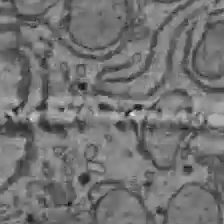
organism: C57BL Mouse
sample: Liver